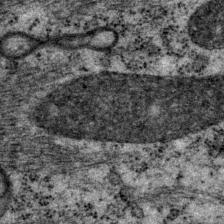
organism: P. pacificus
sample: Pharynx